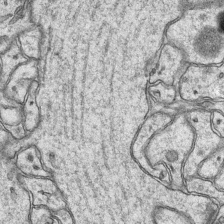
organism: Mouse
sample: CA1 Hippocampus